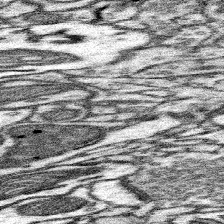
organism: Mouse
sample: Somatosensory cortex neuropil